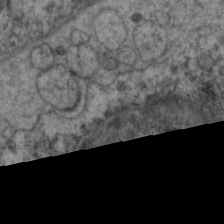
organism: C. elegans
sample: Pharynx